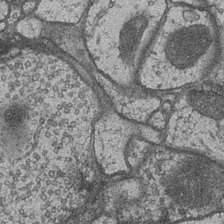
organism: Drosophila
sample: Optic medulla